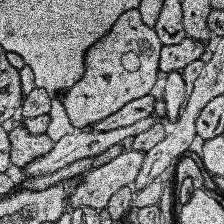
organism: Human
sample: Temporal Lobe